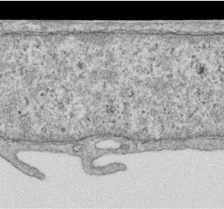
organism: Human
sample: Centriole in RPE cells